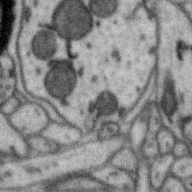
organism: Zebra finch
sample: Brain